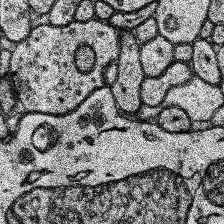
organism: Human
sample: Temporal Lobe